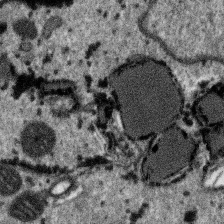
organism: Human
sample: Lung epithelial cells infected with SARS-CoV-2